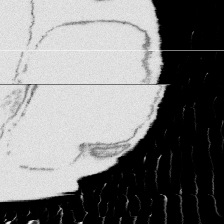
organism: Platynereis dumerilii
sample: Parapodia